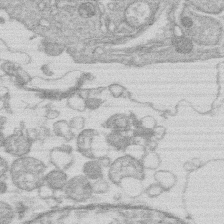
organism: Human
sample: Macrophage cells